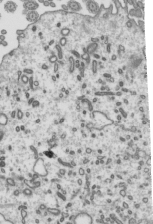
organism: Mouse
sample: Mouse epididymis efferent ductule cilia